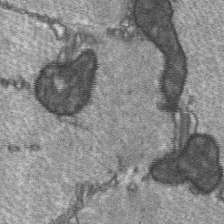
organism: C57BL Mouse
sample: Soleus